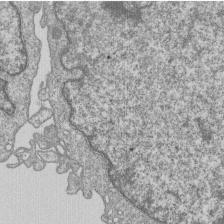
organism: Human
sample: MDA-MB-231 cells